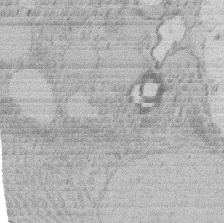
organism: Rat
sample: Salivary granule